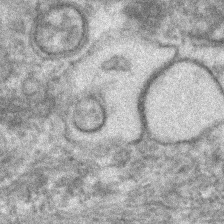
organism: Human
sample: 1205lu cells